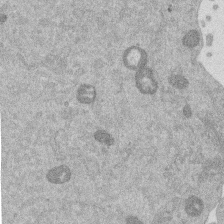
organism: Mouse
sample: Dividing mouse embryo 1 cell stage